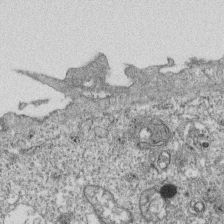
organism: Human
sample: HeLa cell HIV synapse